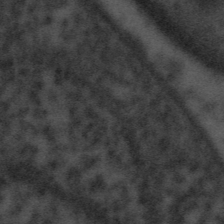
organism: Tuwongella immobilis